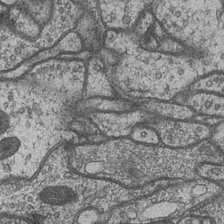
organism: Drosophila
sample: Optic medulla